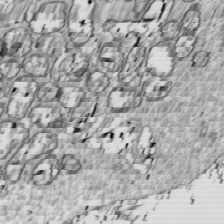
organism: Drosophila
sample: Cell division; meiosis; drosophila spermatocytes